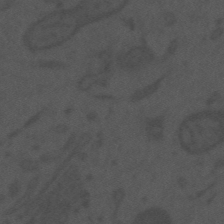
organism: Mouse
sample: Suprachiasmatic nucleus